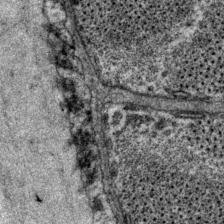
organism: P. pacificus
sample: Pharynx